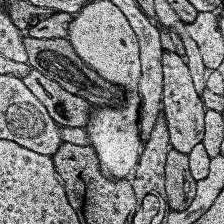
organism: Human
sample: Temporal Lobe